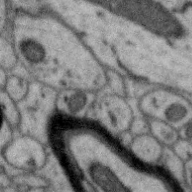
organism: Zebra finch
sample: Brain